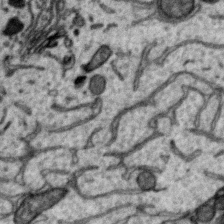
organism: Zebra finch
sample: Brain